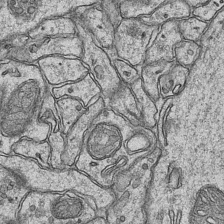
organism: Mouse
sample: CA1 Hippocampus